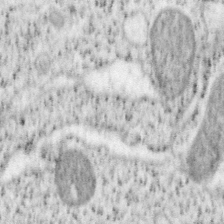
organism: Mouse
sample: OT-I killer T cells with ID8 ovarian cancer cells